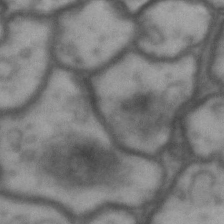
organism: Drosophila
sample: Brain